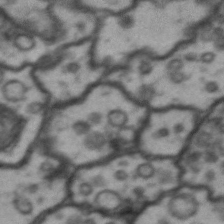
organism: Drosophila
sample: Brain